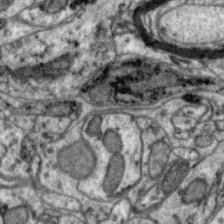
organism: Zebra finch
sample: Brain